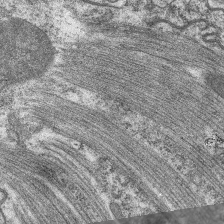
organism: C. elegans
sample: Pharynx